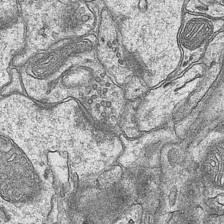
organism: Mouse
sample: CA1 Hippocampus